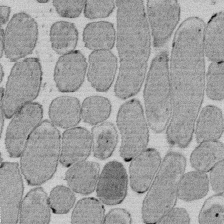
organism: E. coli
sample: Bacterial nucleoid